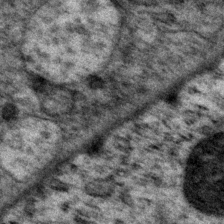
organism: P. pacificus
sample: Pharynx